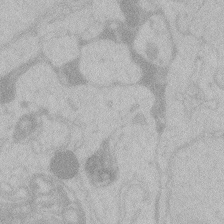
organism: Zebrafish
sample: Macrophage infected with Toxoplasma gondii